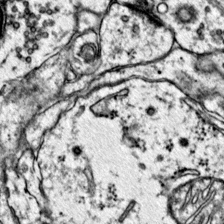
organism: Mouse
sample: Primary visual cortex